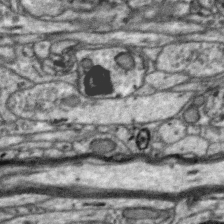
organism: Zebra finch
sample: Brain